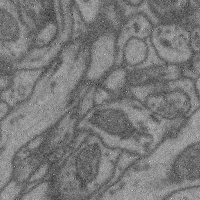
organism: Mouse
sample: Cerebral cortex